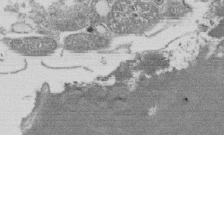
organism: Tetrahymena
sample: Cilia in tetrahymena